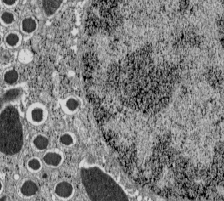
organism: C57BL Mouse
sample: Pancreatic islet